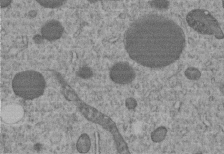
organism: C. elegans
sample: C. elegans embryo early stage